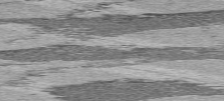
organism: C57BL Mouse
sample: Heart